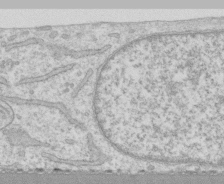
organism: Human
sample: CRL-1474